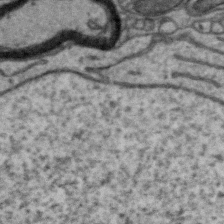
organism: Zebra finch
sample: Brain